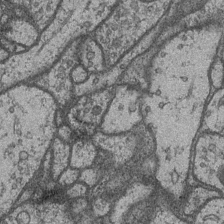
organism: Drosophila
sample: Optic medulla